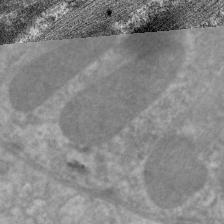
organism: C. elegans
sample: Pharynx